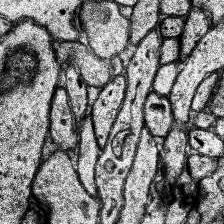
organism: Human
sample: Temporal Lobe